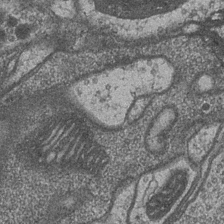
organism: Drosophila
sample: Optic medulla